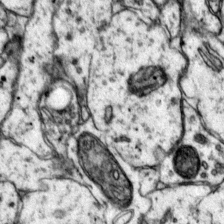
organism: Mouse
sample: Primary visual cortex